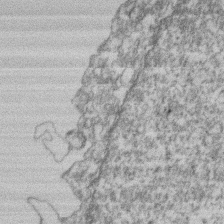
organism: Mouse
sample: T cell stromal cell synapse